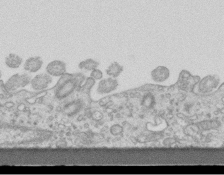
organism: Mouse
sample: Centriole in ependymal cells